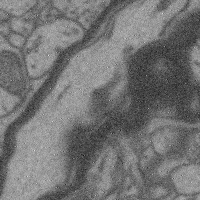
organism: Mouse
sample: Cerebral cortex